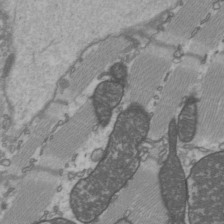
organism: C57BL Mouse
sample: Heart